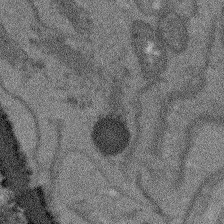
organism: Arabidopsis thaliana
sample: Root tip